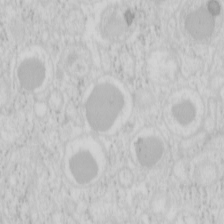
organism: Mouse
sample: Pancreas